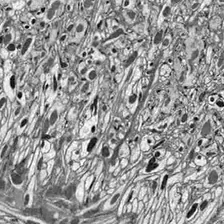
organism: Drosophila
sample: Optic lobe